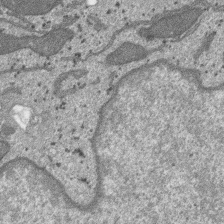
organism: Human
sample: Lung epithelial cells infected with SARS-CoV-2